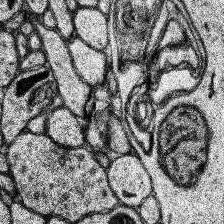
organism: Human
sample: Temporal Lobe